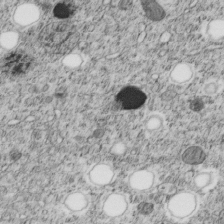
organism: C. elegans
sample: C. elegans embryo early stage